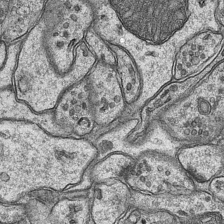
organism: Mouse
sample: CA1 Hippocampus